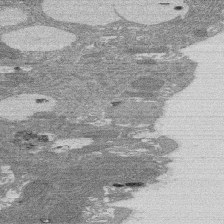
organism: Rat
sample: Salivary granule